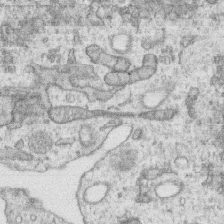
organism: Human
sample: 1205lu cells